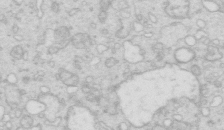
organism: Mouse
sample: Multiciliated cells